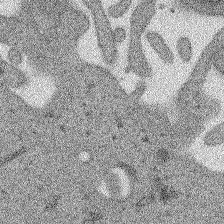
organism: Human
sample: HeLa cells